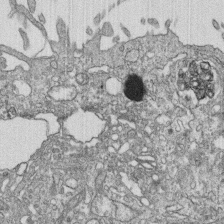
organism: Human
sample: HeLa cell HIV synapse